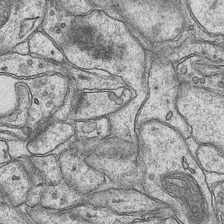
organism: Mouse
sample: CA1 Hippocampus